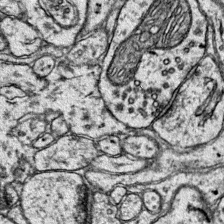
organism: Mouse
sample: Primary visual cortex